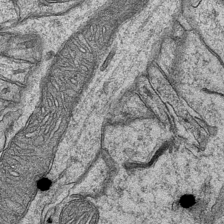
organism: Mouse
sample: CA1 Hippocampus